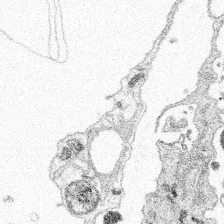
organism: Spongilla lacustris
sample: Multiple